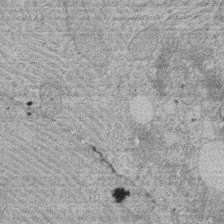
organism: Rat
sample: Salivary granule